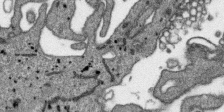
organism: Human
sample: Lung epithelial cells, uninfected (mock) control